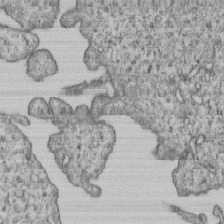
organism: Human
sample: MDA-MB-231 cells